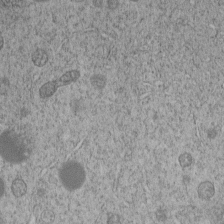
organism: C. elegans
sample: C. elegans embryo early stage